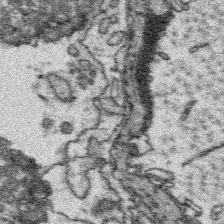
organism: Platynereis dumerilii